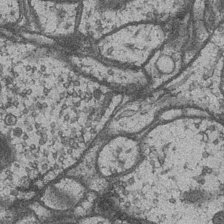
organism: Drosophila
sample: Optic medulla